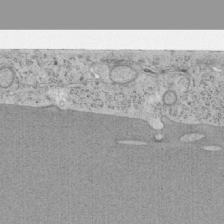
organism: Human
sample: HeLa cells